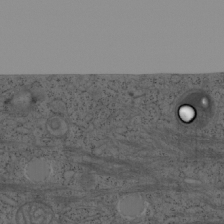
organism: Human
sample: HeLa cells